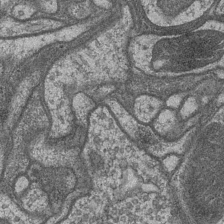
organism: Drosophila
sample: Optic medulla